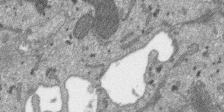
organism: Human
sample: Lung epithelial cells infected with SARS-CoV-2